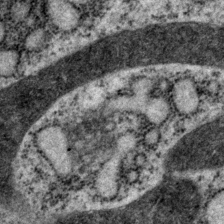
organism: P. pacificus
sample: Pharynx